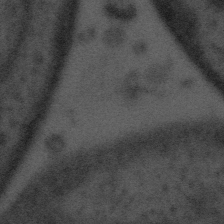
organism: Tuwongella immobilis